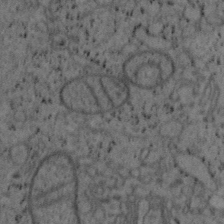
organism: Human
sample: HeLa cells